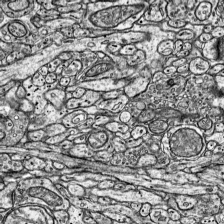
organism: Mouse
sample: Visual Cortex